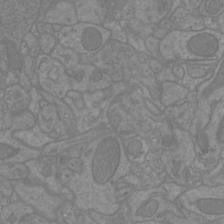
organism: Mouse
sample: Cortical neurons